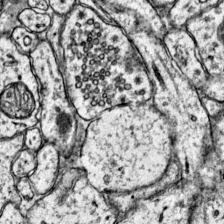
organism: Mouse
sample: Primary visual cortex